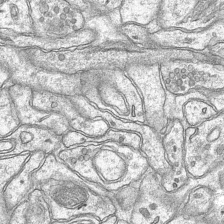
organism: Mouse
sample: CA1 Hippocampus